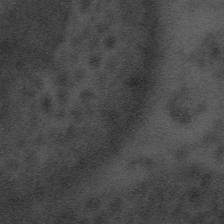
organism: Tuwongella immobilis